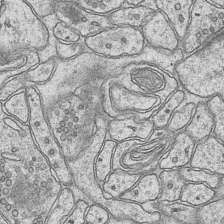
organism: Mouse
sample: CA1 Hippocampus